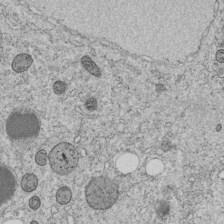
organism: C. elegans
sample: C. elegans embryo early stage